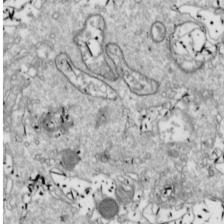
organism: Drosophila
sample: Cell division; meiosis; drosophila spermatocytes